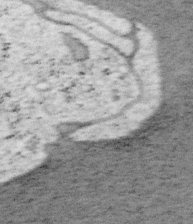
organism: Mouse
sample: OT-I killer T cells with ID8 ovarian cancer cells